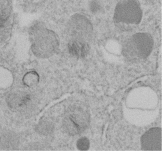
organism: C. elegans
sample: C. elegans embryo early stage